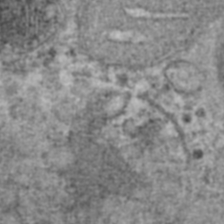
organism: Human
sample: Blood